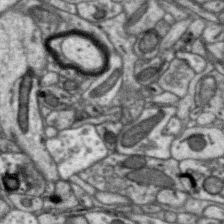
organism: Zebra finch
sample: Brain